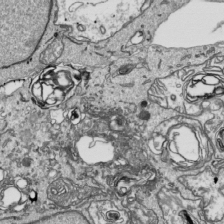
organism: Human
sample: Mitochondria in HCT116 cells